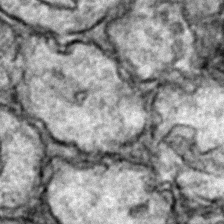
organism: Zebrafish